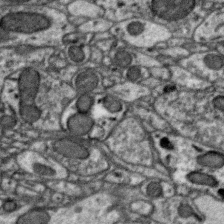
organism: Zebra finch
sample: Brain